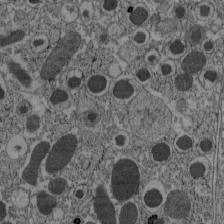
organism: C57BL Mouse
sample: Pancreatic islet